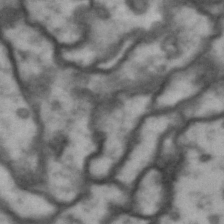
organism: Drosophila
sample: Brain